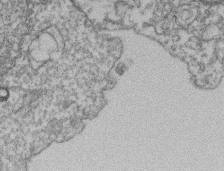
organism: Mouse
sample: T cell stromal cell synapse